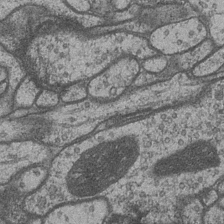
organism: Drosophila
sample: Optic medulla